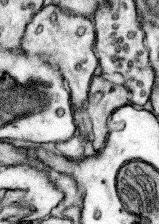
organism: Mouse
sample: Somatosensory cortex neuropil